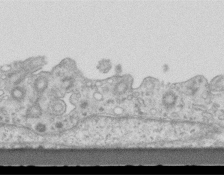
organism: Mouse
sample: Centriole in ependymal cells